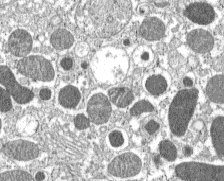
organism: C57BL Mouse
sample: Pancreatic islet